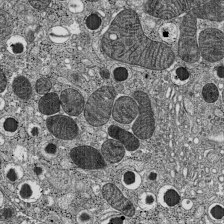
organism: C57BL Mouse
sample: Pancreatic islet